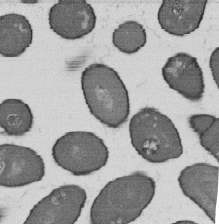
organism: B. subtilis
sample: Bacterial spore